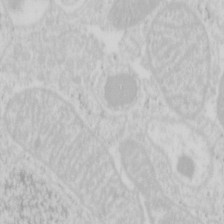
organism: Mouse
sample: Pancreas